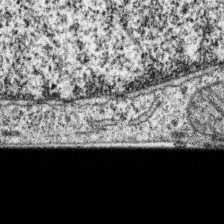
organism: Human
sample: HeLa cells